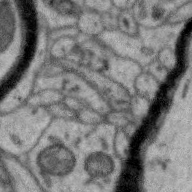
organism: Zebra finch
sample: Brain